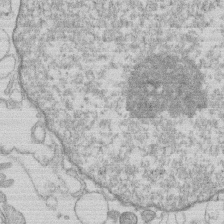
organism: Human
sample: Macrophage cells